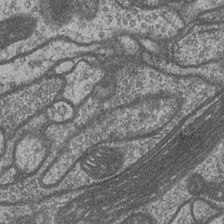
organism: Drosophila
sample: Optic medulla